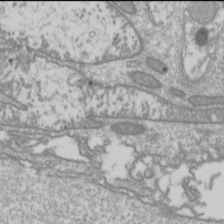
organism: Drosophila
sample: Cell division; meiosis; drosophila spermatocytes